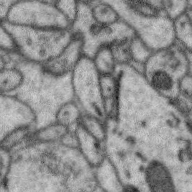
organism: Zebra finch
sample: Brain